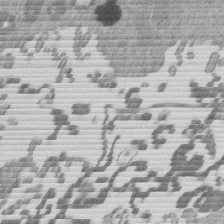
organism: Mouse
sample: Dividing mouse embryo 1 cell stage